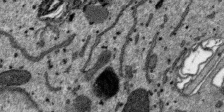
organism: Human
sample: Lung epithelial cells, uninfected (mock) control